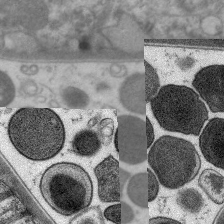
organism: C. elegans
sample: Pharynx